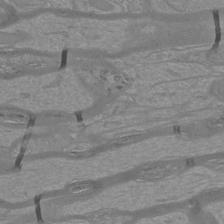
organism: Mouse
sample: Cortical neurons